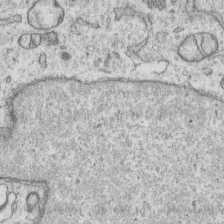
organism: Human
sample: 1205lu cells